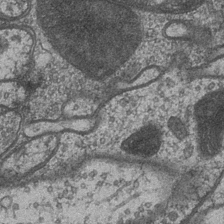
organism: Drosophila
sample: Optic medulla